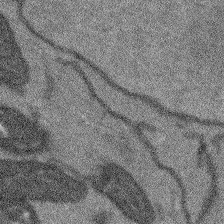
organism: Arabidopsis thaliana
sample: Root tip